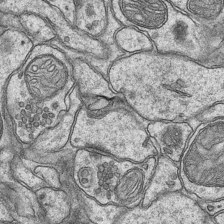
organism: Mouse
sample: CA1 Hippocampus